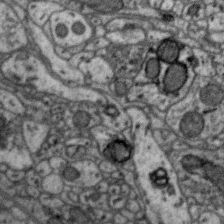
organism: Zebra finch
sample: Brain